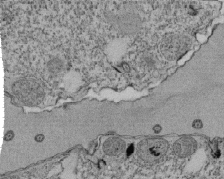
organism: Tetrahymena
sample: Cilia in tetrahymena